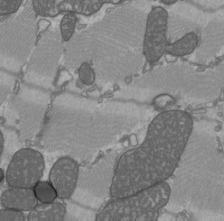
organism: C57BL Mouse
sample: Heart